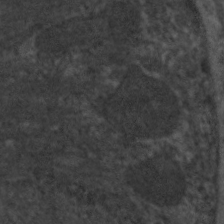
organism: C. elegans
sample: Pharynx